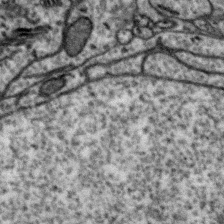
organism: Zebra finch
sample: Brain